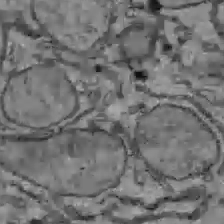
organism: C57BL Mouse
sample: Liver